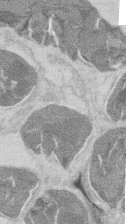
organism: Mouse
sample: T cell stromal cell synapse